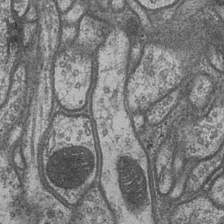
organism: Drosophila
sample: Optic medulla